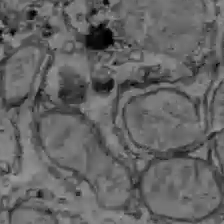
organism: C57BL Mouse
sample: Liver